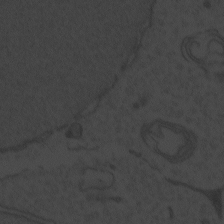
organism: Zebrafish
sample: Macrophage infected with Toxoplasma gondii